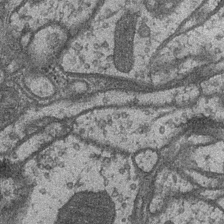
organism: Drosophila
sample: Optic medulla